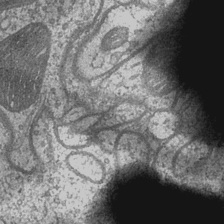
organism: Drosophila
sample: Optic medulla